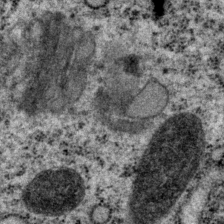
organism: P. pacificus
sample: Pharynx